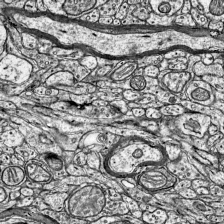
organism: Mouse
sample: Visual Cortex